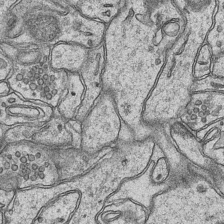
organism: Mouse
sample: CA1 Hippocampus